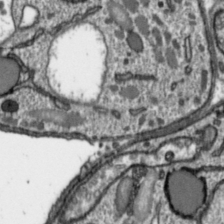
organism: Toxoplasma gondii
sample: Parasites in a vacuole inside a host cell